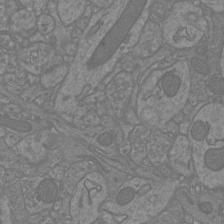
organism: Mouse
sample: Cortical neurons